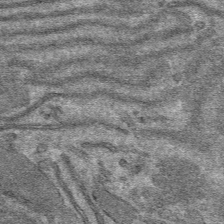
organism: Mouse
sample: Mouse hepatocytes